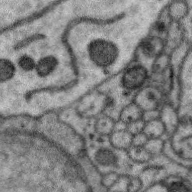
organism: Zebra finch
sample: Brain